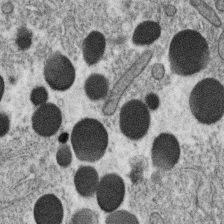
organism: C. elegans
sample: C. elegans oocyte; sperm cells